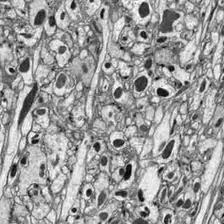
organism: Drosophila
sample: Optic lobe